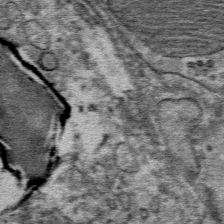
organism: Mouse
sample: Mouse Salivary gland